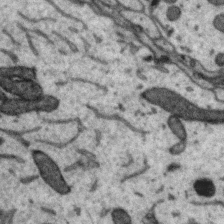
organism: Zebra finch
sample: Brain